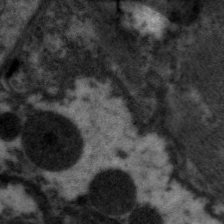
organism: C. elegans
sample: Pharynx